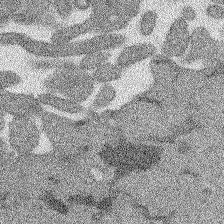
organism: Human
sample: HeLa cells